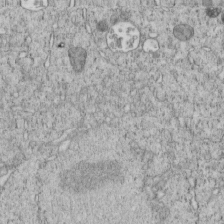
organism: C. elegans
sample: C. elegans embryo early stage